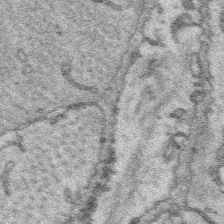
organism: Platynereis dumerilii